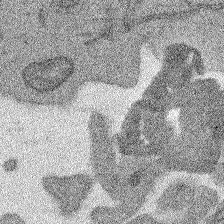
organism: Human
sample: HeLa cells